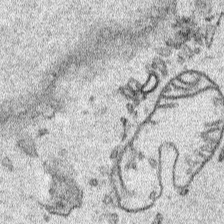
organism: Human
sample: Mitochondria in HCT116 cells